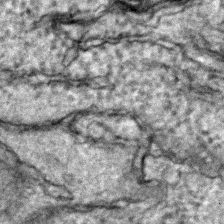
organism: Zebrafish